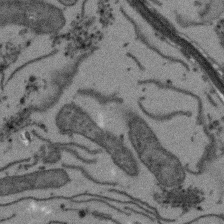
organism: Arabidopsis thaliana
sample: Root tip